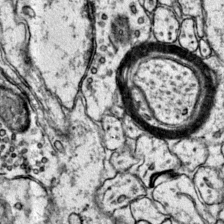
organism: Mouse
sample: Primary visual cortex